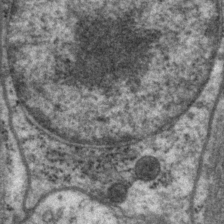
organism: P. pacificus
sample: Pharynx